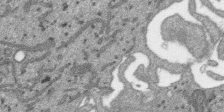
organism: Human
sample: Lung epithelial cells infected with SARS-CoV-2